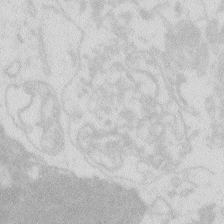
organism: Zebrafish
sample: Macrophage